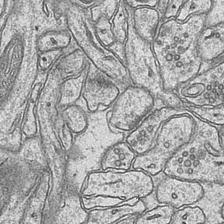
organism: Mouse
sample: CA1 Hippocampus